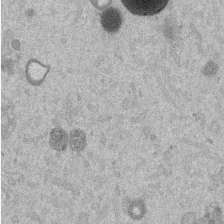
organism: Mouse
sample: Dividing mouse embryo 1 cell stage